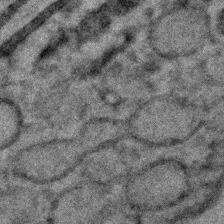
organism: C. elegans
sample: C. elegans embryo